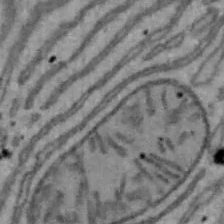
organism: Mouse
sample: Liver